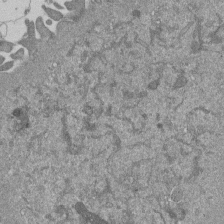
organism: Mouse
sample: ED-1 cell nuclei; centrioles